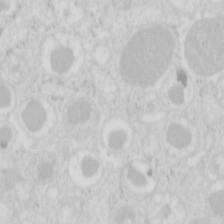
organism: Mouse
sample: Pancreas